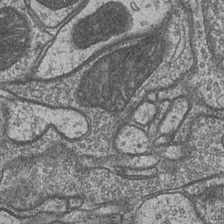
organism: Drosophila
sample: Optic medulla